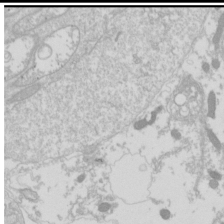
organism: Drosophila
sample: Cell division; meiosis; drosophila spermatocytes